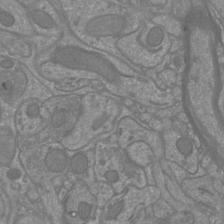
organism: Mouse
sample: Cortical neurons